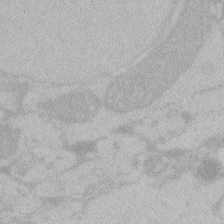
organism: Zebrafish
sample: Macrophage infected with Toxoplasma gondii